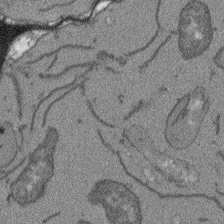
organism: Arabidopsis thaliana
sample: Root tip